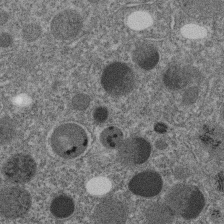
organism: C. elegans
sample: C. elegans embryo early stage